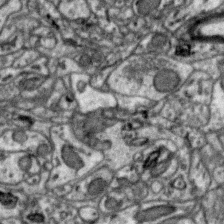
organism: Zebra finch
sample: Brain